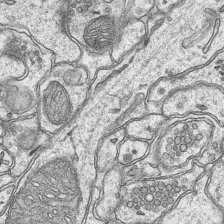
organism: Mouse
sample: CA1 Hippocampus